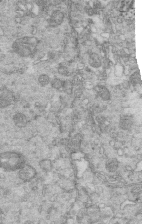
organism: Mouse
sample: Multiciliated cells